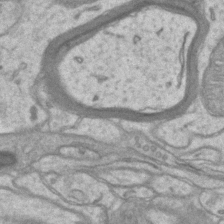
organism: Mouse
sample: CA1 Hippocampus